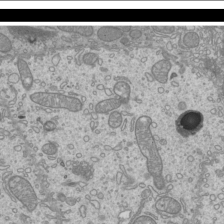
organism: Mouse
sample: Cilia; mouse epididymis